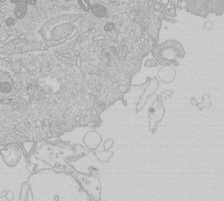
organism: Human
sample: Macrophage cells